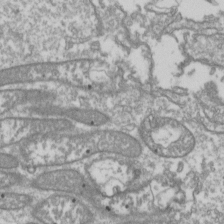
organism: Drosophila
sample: Cell division; meiosis; drosophila spermatocytes